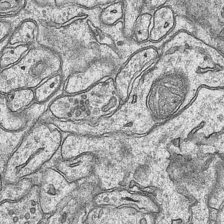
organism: Mouse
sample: CA1 Hippocampus